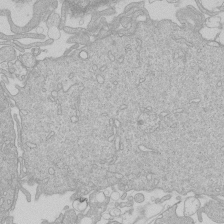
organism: Human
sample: Macrophage cells